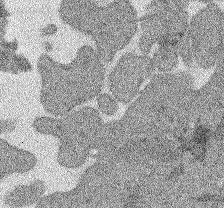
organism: Human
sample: HeLa cells